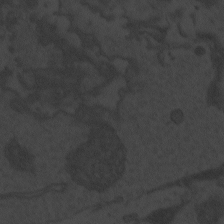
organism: Zebrafish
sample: Macrophage infected with Toxoplasma gondii